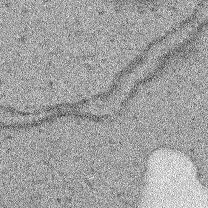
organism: Human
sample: HeLa cells